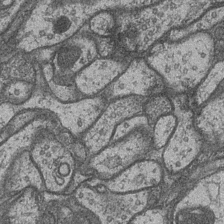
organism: Drosophila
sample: Optic medulla